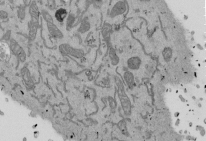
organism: Mouse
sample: ED-1 cell nuclei; centrioles